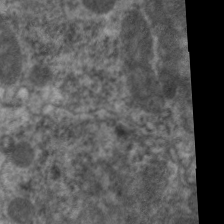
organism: C. elegans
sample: Pharynx